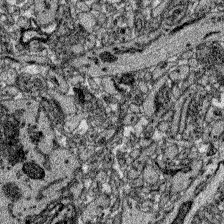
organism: Zebrafish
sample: Larval olfactory bulb